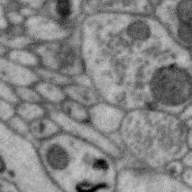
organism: Zebra finch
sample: Brain